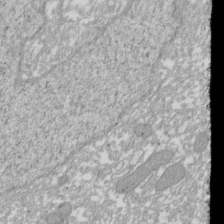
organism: Xenopus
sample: Cilia; centrioles in frog embryo cells